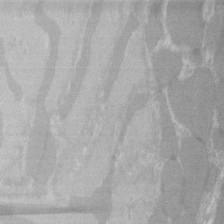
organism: C57BL Mouse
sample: Tibialis anterior muscle cell